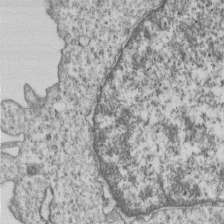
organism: Human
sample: MDA-MB-231 cells